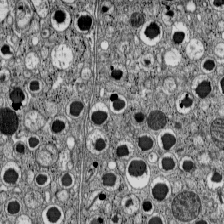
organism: C57BL Mouse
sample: Pancreatic islet